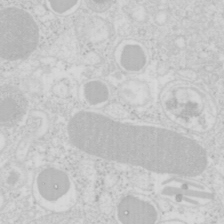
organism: Mouse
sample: Pancreas